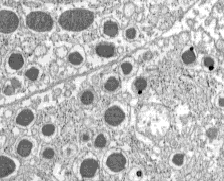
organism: C57BL Mouse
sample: Pancreatic islet